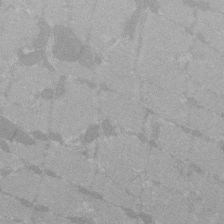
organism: C57BL Mouse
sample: Tibialis anterior muscle cell